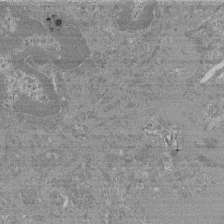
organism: Mouse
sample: Glomerulus